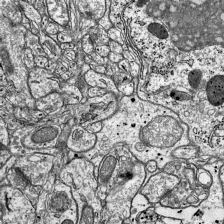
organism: Mouse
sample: Visual Cortex